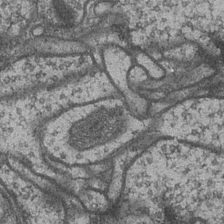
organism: Drosophila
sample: Optic medulla